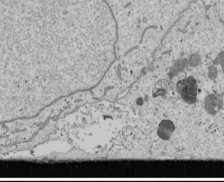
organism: Human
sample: Mitochondria in U2OS cells